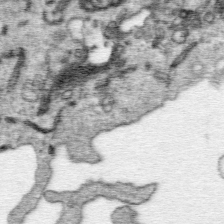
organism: Human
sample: HeLa cells